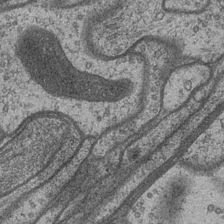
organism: Drosophila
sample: Optic medulla